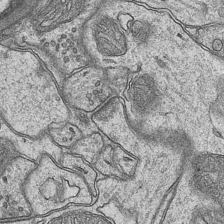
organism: Mouse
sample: CA1 Hippocampus